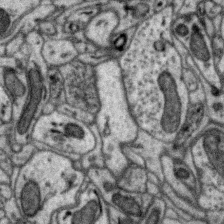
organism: Zebra finch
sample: Brain